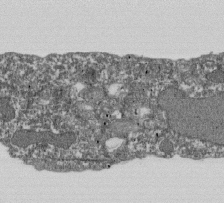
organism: Dictyostelium discoideum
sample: Dictyostelium multivesicular bodies